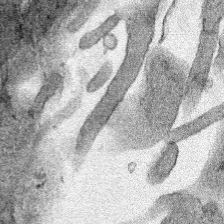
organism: Human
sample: Mitochondria in HCT116 cells